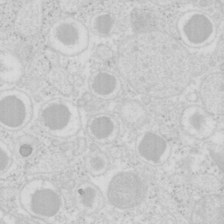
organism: Mouse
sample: Pancreas